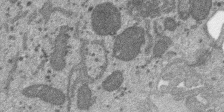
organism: Human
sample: Lung epithelial cells infected with SARS-CoV-2